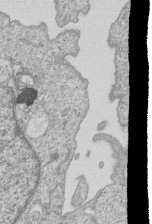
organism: Human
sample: MDA-MB-231 cells